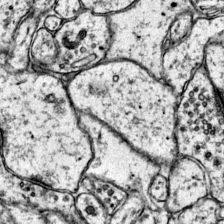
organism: Mouse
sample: Primary visual cortex